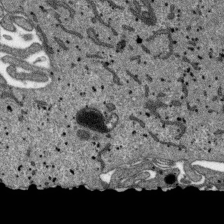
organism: Human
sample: Lung epithelial cells, uninfected (mock) control